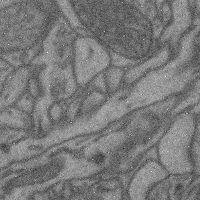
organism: Mouse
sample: Cerebral cortex